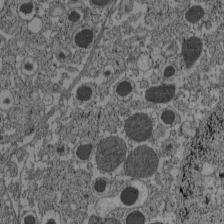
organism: C57BL Mouse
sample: Pancreatic islet